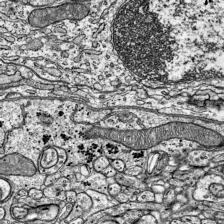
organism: Mouse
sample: Visual Cortex